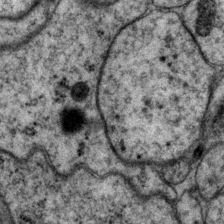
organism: P. pacificus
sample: Pharynx